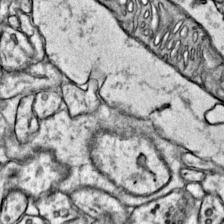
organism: Mouse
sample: Primary visual cortex